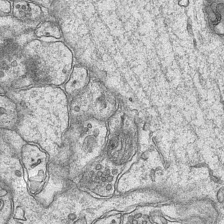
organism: Mouse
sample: CA1 Hippocampus